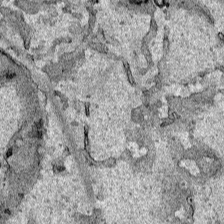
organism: Human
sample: Mitochondria in HCT116 cells